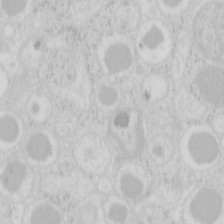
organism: Mouse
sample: Pancreas